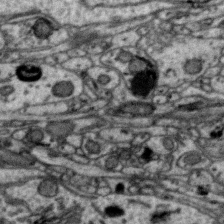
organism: Zebra finch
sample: Brain